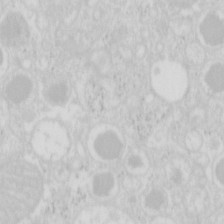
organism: Mouse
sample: Pancreas